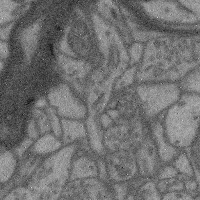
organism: Mouse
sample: Cerebral cortex